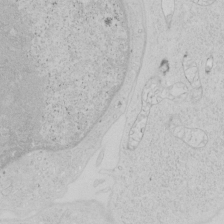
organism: Human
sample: Mitochondria in HCT116 cells